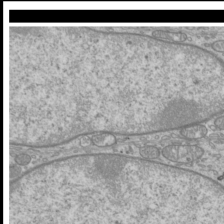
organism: Mouse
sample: Cilia; mouse epididymis